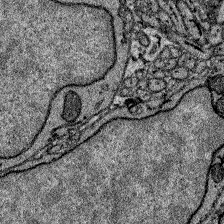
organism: Zebrafish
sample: Larval olfactory bulb